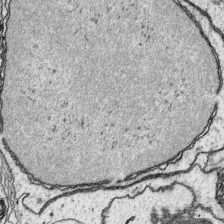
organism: Platynereis dumerilii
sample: Parapodia